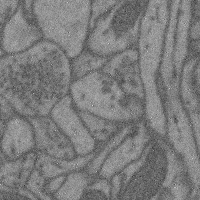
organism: Mouse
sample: Cerebral cortex